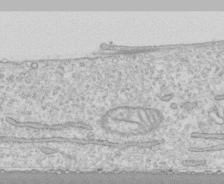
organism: Human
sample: CRL-1474